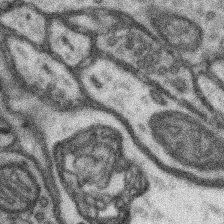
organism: Mouse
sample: Somatosensory cortex neuropil